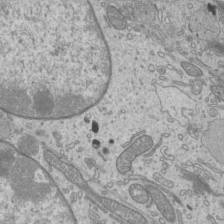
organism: Mouse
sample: Cilia; mouse epididymis